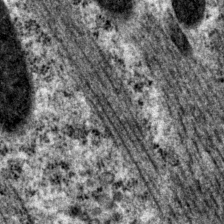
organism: P. pacificus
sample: Pharynx